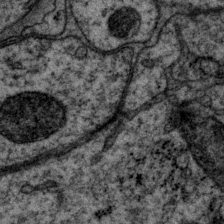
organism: P. pacificus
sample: Pharynx